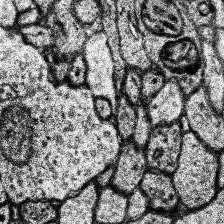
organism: Human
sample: Temporal Lobe